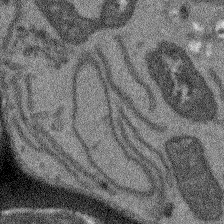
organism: Arabidopsis thaliana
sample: Root tip